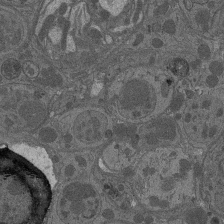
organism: Drosophila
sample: Antenna